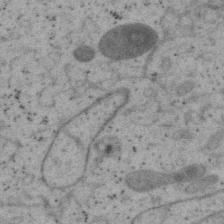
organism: Human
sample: HeLa cells